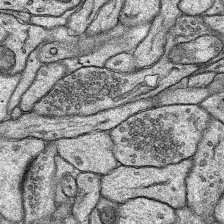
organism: Rat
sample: Hippocampus